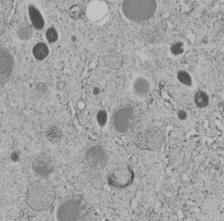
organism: C. elegans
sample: C. elegans embryo early stage